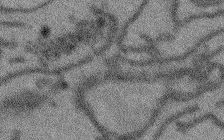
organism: Arabidopsis thaliana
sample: Root tip